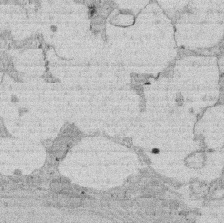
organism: Rat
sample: Salivary granule